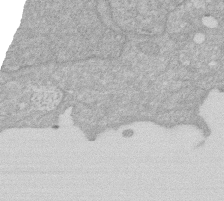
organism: Human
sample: HIV infected U937 cells